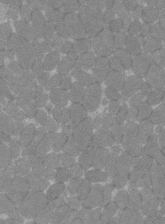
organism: C57BL Mouse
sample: Tibialis anterior muscle cell